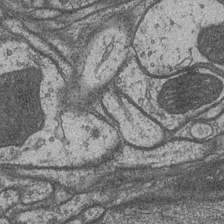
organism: Drosophila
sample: Optic medulla